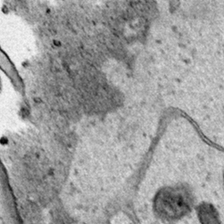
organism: Human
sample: Mitochondria in HCT116 cells